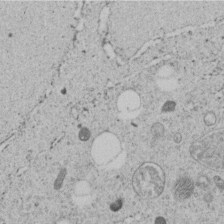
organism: C. elegans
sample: C. elegans embryo early stage